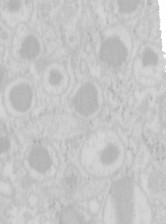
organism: Mouse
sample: Pancreas